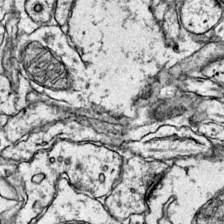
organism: Mouse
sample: Primary visual cortex